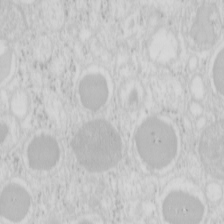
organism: Mouse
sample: Pancreas